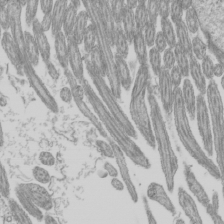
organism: Mouse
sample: Cilia; mouse epididymis